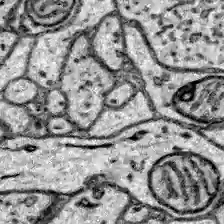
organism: Zebrafish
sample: Brain